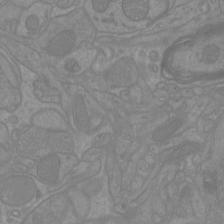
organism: Mouse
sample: Cortical neurons